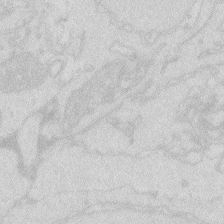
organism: Zebrafish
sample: Macrophage